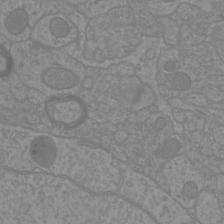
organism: Mouse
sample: Cortical neurons